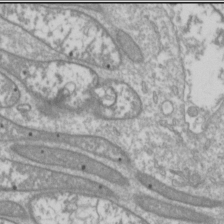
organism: Drosophila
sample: Cell division; meiosis; drosophila spermatocytes